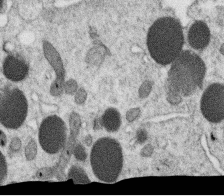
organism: C. elegans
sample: C. elegans oocyte; sperm cells